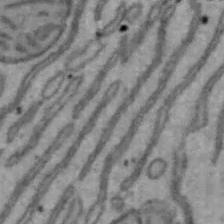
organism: Mouse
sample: Liver